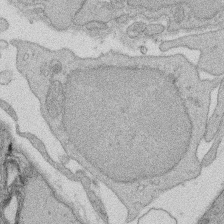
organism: Rat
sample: Salivary granule